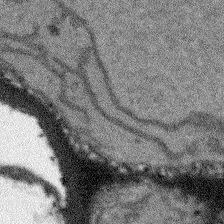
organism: Arabidopsis thaliana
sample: Root tip